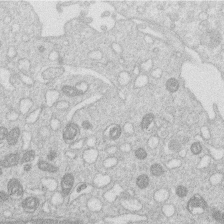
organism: Human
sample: Macrophage cells